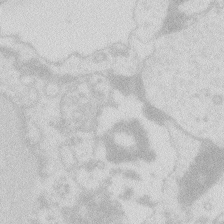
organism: Zebrafish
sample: Macrophage